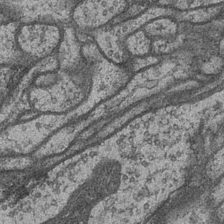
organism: Drosophila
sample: Optic medulla